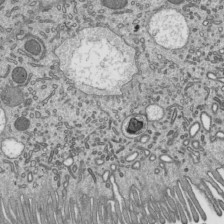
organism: Mouse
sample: Mouse epididymis efferent ductule cilia